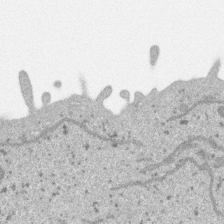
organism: Human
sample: Lung epithelial cells infected with SARS-CoV-2